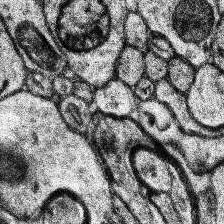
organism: Human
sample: Temporal Lobe